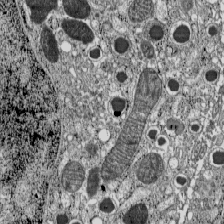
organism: C57BL Mouse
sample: Pancreatic islet